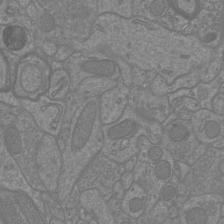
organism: Mouse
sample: Cortical neurons